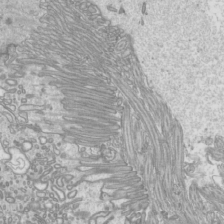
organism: Mouse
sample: Cilia; mouse epididymis